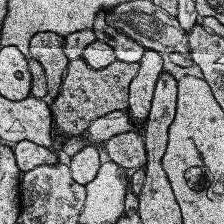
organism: Human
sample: Temporal Lobe